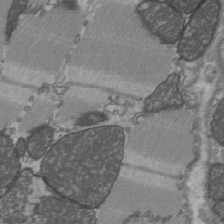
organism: C57BL Mouse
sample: Heart